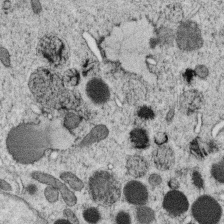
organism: C. elegans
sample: C. elegans oocyte; sperm cells